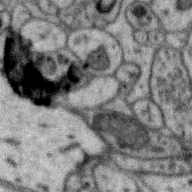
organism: Zebra finch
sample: Brain